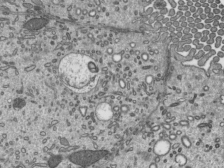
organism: Mouse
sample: Mouse epididymis efferent ductule cilia